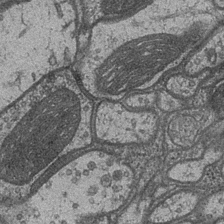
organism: Drosophila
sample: Optic medulla